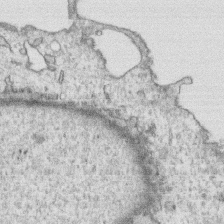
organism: Human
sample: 1205lu cells